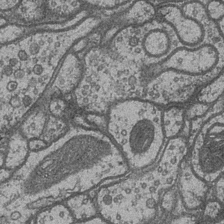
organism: Drosophila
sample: Optic medulla